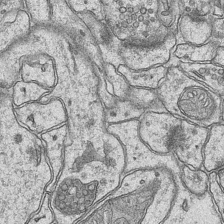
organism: Mouse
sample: CA1 Hippocampus